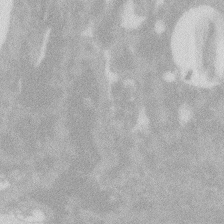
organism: Zebrafish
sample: Macrophage